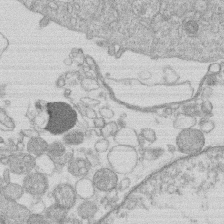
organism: Human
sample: Macrophage cells